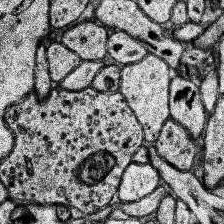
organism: Human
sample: Temporal Lobe